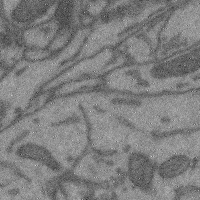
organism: Mouse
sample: Cerebral cortex